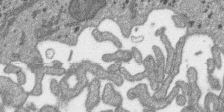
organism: Human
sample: Lung epithelial cells infected with SARS-CoV-2